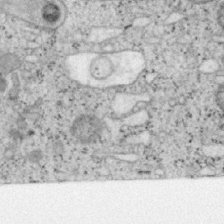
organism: Mouse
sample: OT-I killer T cells with ID8 ovarian cancer cells